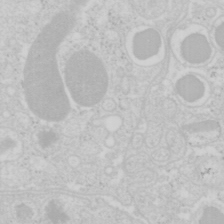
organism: Mouse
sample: Pancreas